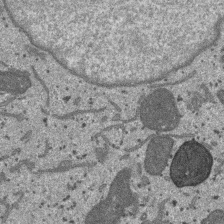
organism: Human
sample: Lung epithelial cells infected with SARS-CoV-2